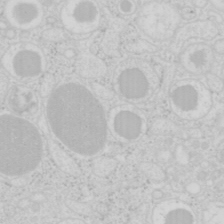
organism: Mouse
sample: Pancreas